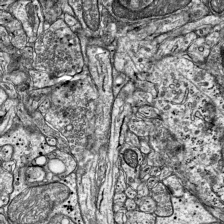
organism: Mouse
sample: Visual Cortex